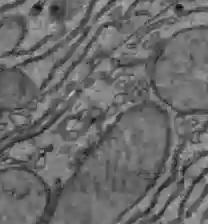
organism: C57BL Mouse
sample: Liver